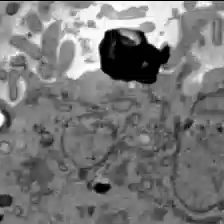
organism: C57BL Mouse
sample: Liver